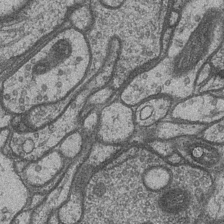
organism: Drosophila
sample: Optic medulla